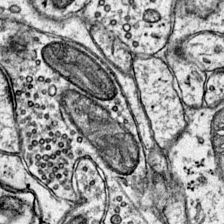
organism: Mouse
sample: Primary visual cortex